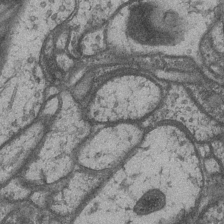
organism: Drosophila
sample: Optic medulla